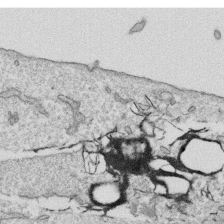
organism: Human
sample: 1205lu cells